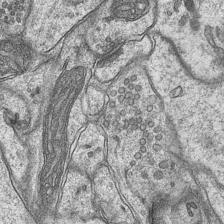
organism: Mouse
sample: CA1 Hippocampus